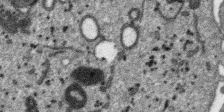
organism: Human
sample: Lung epithelial cells infected with SARS-CoV-2